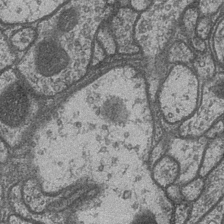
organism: Drosophila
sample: Optic medulla